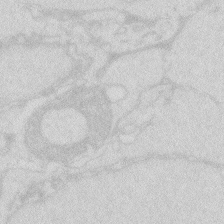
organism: Zebrafish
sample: Macrophage